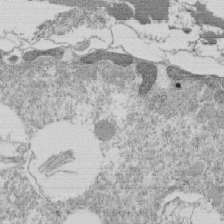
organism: Tetrahymena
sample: Cilia in tetrahymena